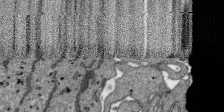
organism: Human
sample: Lung epithelial cells, uninfected (mock) control